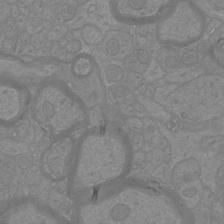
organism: Mouse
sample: Cortical neurons